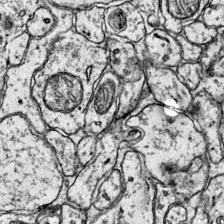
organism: Mouse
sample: Primary visual cortex